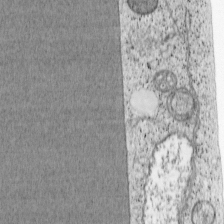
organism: African green monkey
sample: COS-7 cells